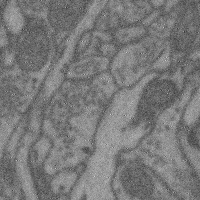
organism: Mouse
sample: Cerebral cortex